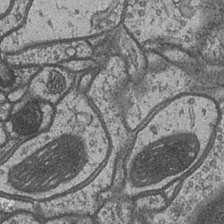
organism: Drosophila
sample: Optic medulla